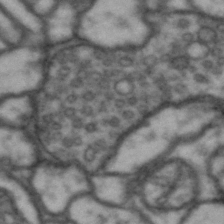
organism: Drosophila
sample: Brain